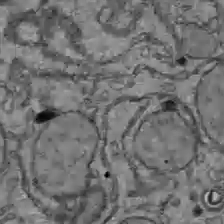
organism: C57BL Mouse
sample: Liver